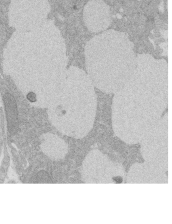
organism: Rat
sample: Salivary granule